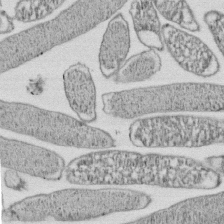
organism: E. coli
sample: Bacterial nucleoid